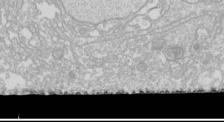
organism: Drosophila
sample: Cell division; meiosis; drosophila spermatocytes